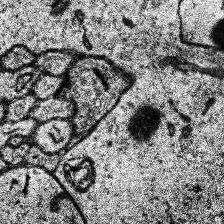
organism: Human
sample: Temporal Lobe